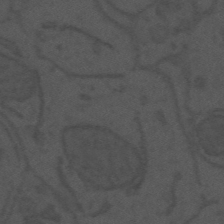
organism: Mouse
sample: Suprachiasmatic nucleus